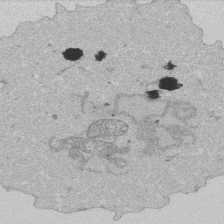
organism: Human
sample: Activated Jurkat CD4+ T cells